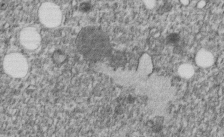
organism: C. elegans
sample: C. elegans embryo early stage